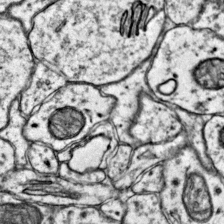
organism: Mouse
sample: Primary visual cortex